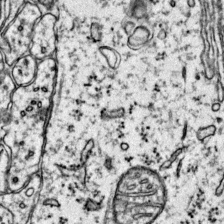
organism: Mouse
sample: Primary visual cortex